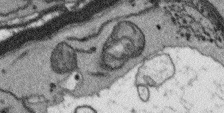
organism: Arabidopsis thaliana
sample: Root tip